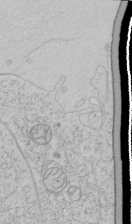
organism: Human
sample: Mitochondria in HCT116 cells